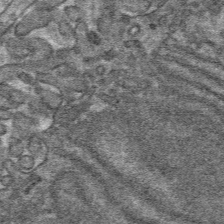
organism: Mouse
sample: Mouse hepatocytes